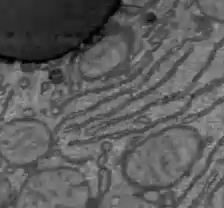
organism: C57BL Mouse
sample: Liver